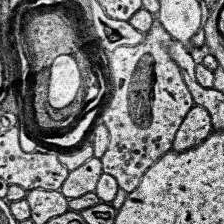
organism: Human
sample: Temporal Lobe